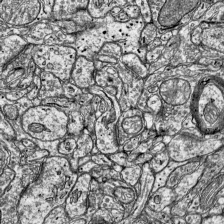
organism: Mouse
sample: Visual Cortex